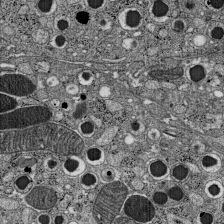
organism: C57BL Mouse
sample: Pancreatic islet